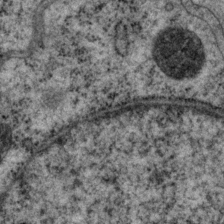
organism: P. pacificus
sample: Pharynx